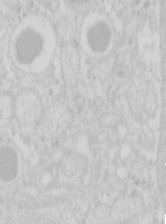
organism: Mouse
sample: Pancreas